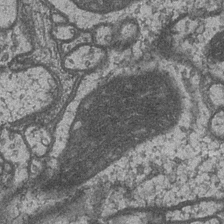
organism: Drosophila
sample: Optic medulla